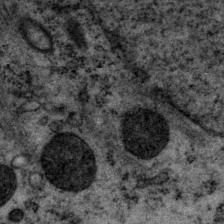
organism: P. pacificus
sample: Pharynx